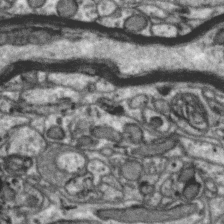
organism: Zebra finch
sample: Brain